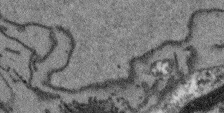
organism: Arabidopsis thaliana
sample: Root tip